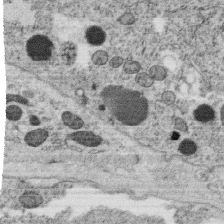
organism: C. elegans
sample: C. elegans oocyte; sperm cells